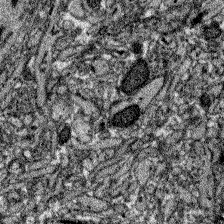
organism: Zebrafish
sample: Larval olfactory bulb